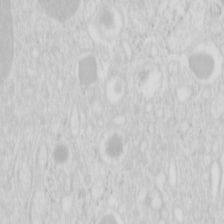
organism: Mouse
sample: Pancreas